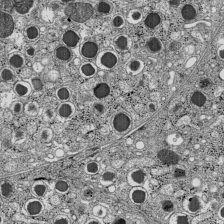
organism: C57BL Mouse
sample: Pancreatic islet